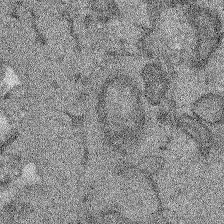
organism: Human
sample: HeLa cells